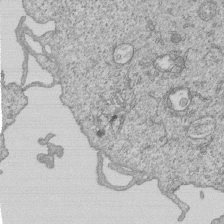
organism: Human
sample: MDA-MB-231 cells